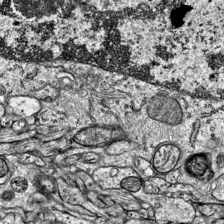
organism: Mouse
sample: Visual Cortex